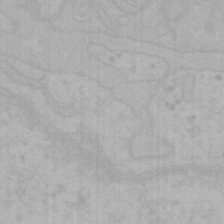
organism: Mouse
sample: Choroid plexus